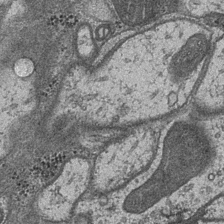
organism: Drosophila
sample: Optic medulla